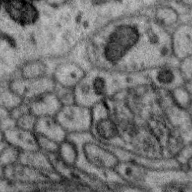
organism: Zebra finch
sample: Brain